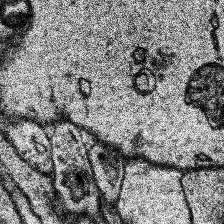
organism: Human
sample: Temporal Lobe